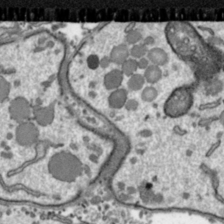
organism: Toxoplasma gondii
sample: Parasites in a vacuole inside a host cell